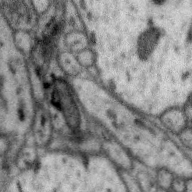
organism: Zebra finch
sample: Brain